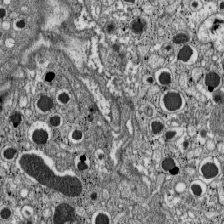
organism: C57BL Mouse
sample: Pancreatic islet